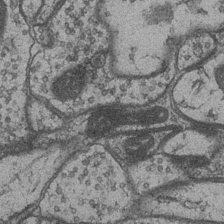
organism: Drosophila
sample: Optic medulla